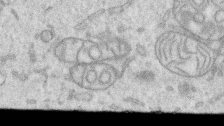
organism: Human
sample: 1205lu cells